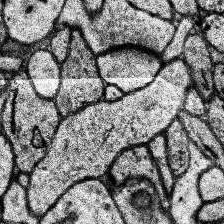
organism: Human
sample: Temporal Lobe